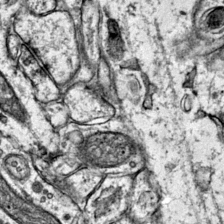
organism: Mouse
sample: Primary visual cortex